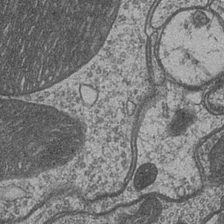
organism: Drosophila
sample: Optic medulla